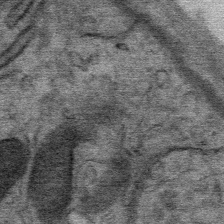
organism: Mouse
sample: Mouse Salivary gland